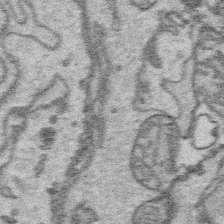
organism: Platynereis dumerilii